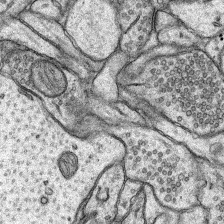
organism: Rat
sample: Hippocampus